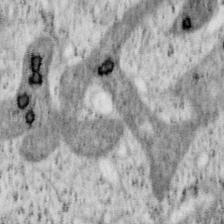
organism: Mouse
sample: OT-I killer T cells with ID8 ovarian cancer cells